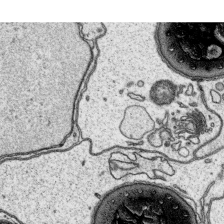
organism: Platynereis dumerilii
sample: Parapodia